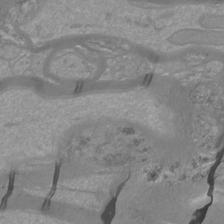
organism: Mouse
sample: Cortical neurons